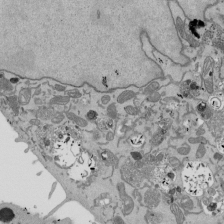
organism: Mouse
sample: ED-1 cell nuclei; centrioles